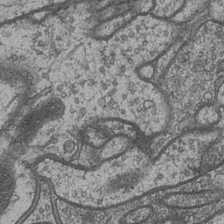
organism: Drosophila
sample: Optic medulla